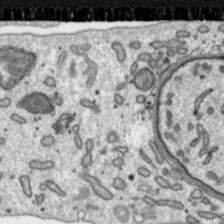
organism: Toxoplasma gondii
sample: Parasites in a vacuole inside a host cell